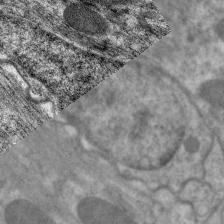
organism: C. elegans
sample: Pharynx